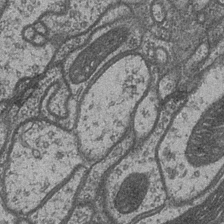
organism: Drosophila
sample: Optic medulla